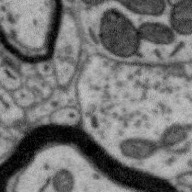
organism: Zebra finch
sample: Brain